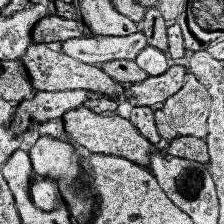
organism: Human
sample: Temporal Lobe